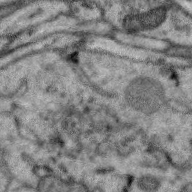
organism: Zebra finch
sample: Brain